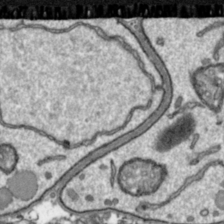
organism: Toxoplasma gondii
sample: Parasites in a vacuole inside a host cell